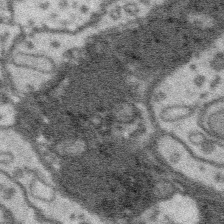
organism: Platynereis dumerilii